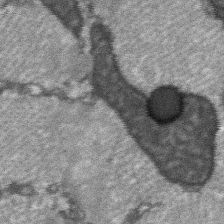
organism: C57BL Mouse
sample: Soleus